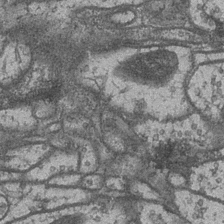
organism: Drosophila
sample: Optic medulla